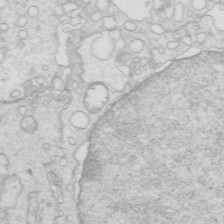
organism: Mouse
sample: Multiciliated cells